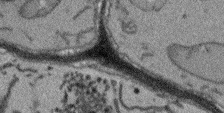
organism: Arabidopsis thaliana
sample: Root tip